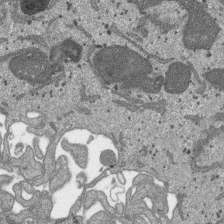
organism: Human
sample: Lung epithelial cells infected with SARS-CoV-2